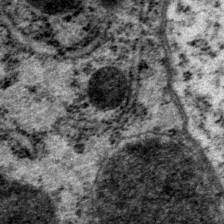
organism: P. pacificus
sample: Pharynx